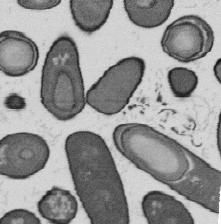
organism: B. subtilis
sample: Bacterial spore